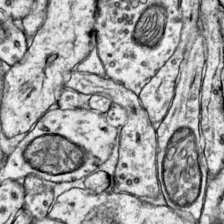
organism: Mouse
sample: Primary visual cortex